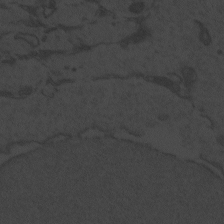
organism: Zebrafish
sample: Macrophage infected with Toxoplasma gondii